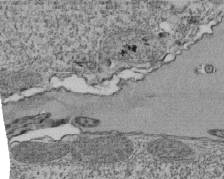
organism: Tetrahymena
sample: Cilia in tetrahymena